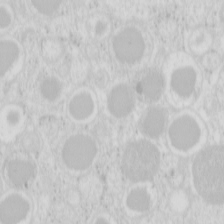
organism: Mouse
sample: Pancreas